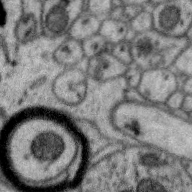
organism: Zebra finch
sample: Brain